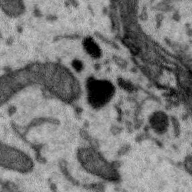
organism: Zebra finch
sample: Brain